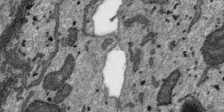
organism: Human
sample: Lung epithelial cells, uninfected (mock) control